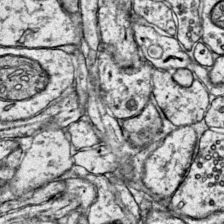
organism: Mouse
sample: Primary visual cortex